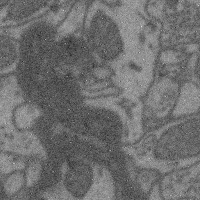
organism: Mouse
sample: Cerebral cortex